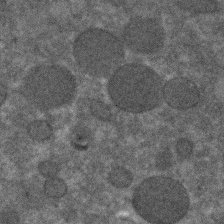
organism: C. elegans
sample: C. elegans embryo